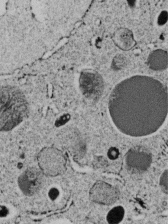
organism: C. elegans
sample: C. elegans embryo early stage